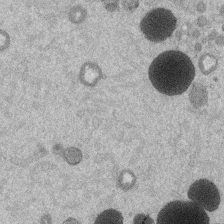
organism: Mouse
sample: Dividing mouse embryo 1 cell stage